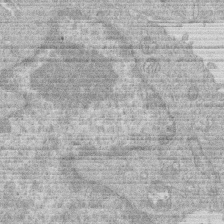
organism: Human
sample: Macrophage cells